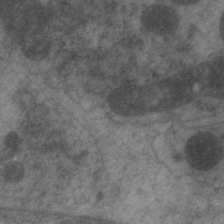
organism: C. elegans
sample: Pharynx